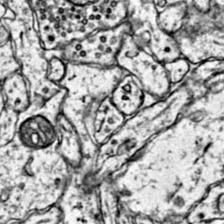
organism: Mouse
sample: Primary visual cortex